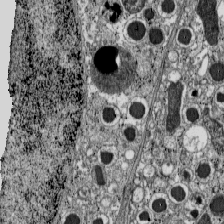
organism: C57BL Mouse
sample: Pancreatic islet